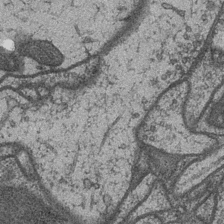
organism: Drosophila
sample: Optic medulla